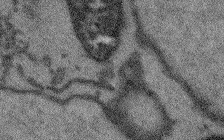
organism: Arabidopsis thaliana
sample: Root tip